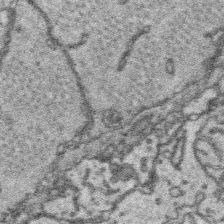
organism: Platynereis dumerilii